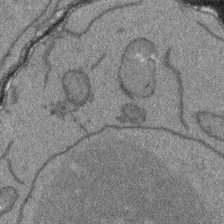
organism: Arabidopsis thaliana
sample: Root tip